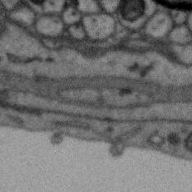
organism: Zebra finch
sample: Brain